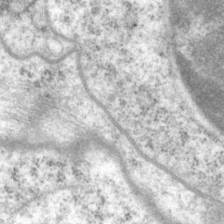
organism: P. pacificus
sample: Pharynx